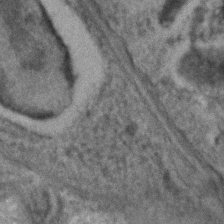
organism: C. elegans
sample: C. elegans embryo